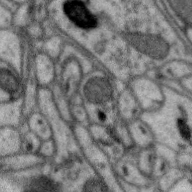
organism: Zebra finch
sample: Brain